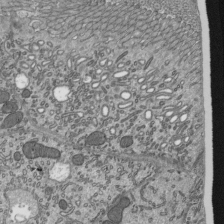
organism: Mouse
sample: Mouse epididymis efferent ductule cilia